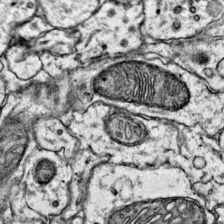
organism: Mouse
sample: Primary visual cortex